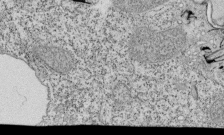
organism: Tetrahymena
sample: Cilia in tetrahymena